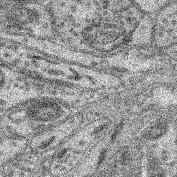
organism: Mouse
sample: Retina